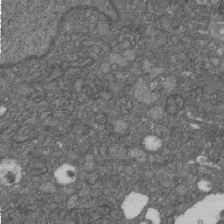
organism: Drosophila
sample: Nephrocyte